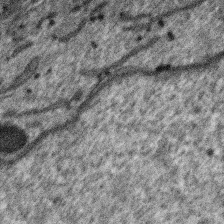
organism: Human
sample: Lung epithelial cells infected with SARS-CoV-2